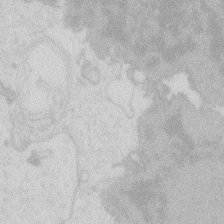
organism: Zebrafish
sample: Macrophage